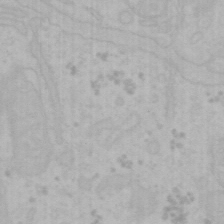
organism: Mouse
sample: Choroid plexus